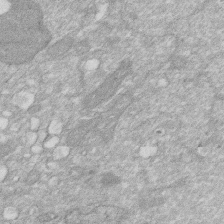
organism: Human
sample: HIV infected U937 cells